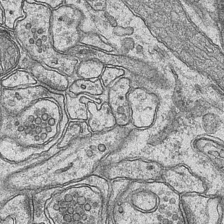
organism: Mouse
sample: CA1 Hippocampus